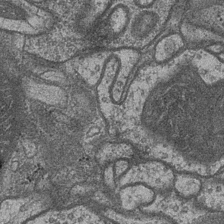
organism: Drosophila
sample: Optic medulla